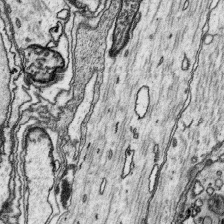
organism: Platynereis dumerilii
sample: Parapodia